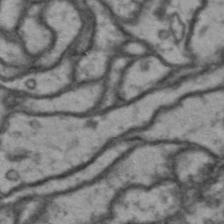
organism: Drosophila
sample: Brain